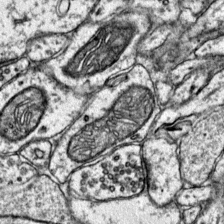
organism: Mouse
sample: Primary visual cortex